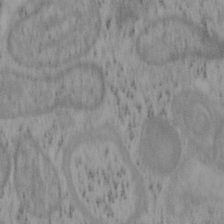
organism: Mouse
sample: OT-I killer T cells with ID8 ovarian cancer cells